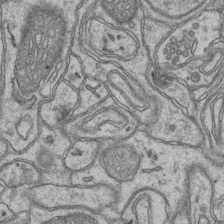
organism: Mouse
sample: CA1 Hippocampus